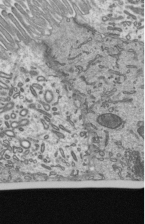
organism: Mouse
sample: Mouse epididymis efferent ductule cilia